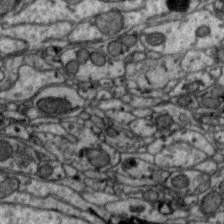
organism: Zebra finch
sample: Brain